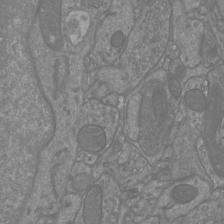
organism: Mouse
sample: Cortical neurons